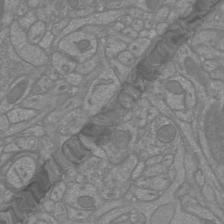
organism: Mouse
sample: Cortical neurons